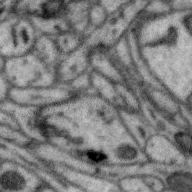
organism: Zebra finch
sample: Brain